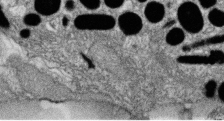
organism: Zebrafish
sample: Cilia; retinal pigment epithelium